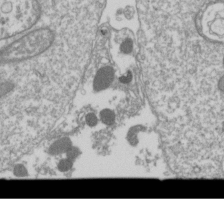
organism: Drosophila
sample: Cell division; meiosis; drosophila spermatocytes